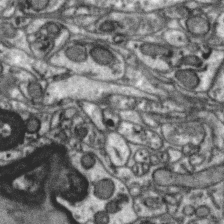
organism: Zebra finch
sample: Brain